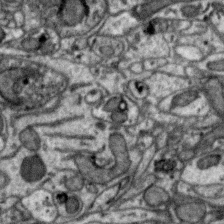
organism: Zebra finch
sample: Brain